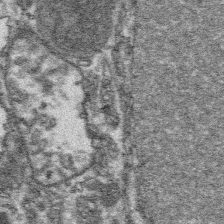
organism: Platynereis dumerilii